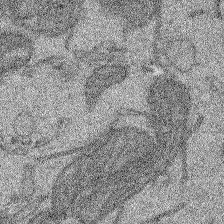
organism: Human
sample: HeLa cells